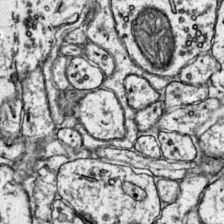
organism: Mouse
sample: Primary visual cortex